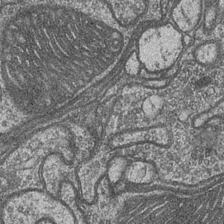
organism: Drosophila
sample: Optic medulla